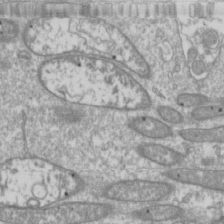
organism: Drosophila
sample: Cell division; meiosis; drosophila spermatocytes